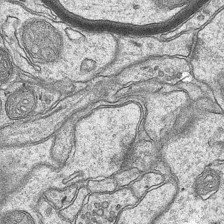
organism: Mouse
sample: CA1 Hippocampus